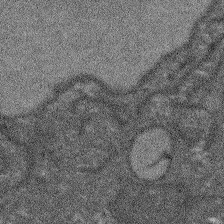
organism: Arabidopsis thaliana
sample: Root tip